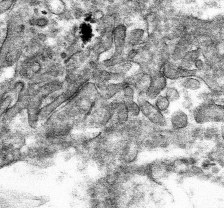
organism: Mouse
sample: Mouse hepatocytes